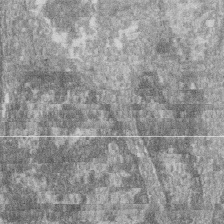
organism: Zebrafish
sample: Cilia; retinal pigment epithelium